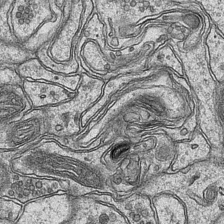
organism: Mouse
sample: CA1 Hippocampus